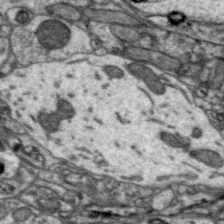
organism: Zebra finch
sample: Brain